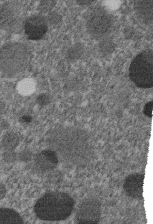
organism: C. elegans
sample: C. elegans embryo early stage